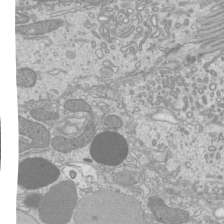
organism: Mouse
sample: Cilia; mouse epididymis